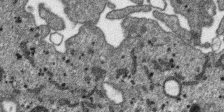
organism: Human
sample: Lung epithelial cells infected with SARS-CoV-2